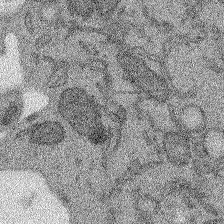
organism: Human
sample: HeLa cells